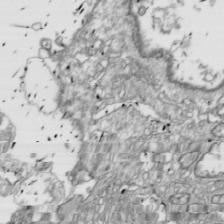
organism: Drosophila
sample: Cell division; meiosis; drosophila spermatocytes